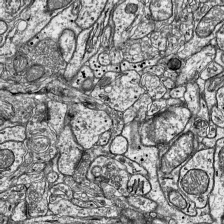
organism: Mouse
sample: Visual Cortex